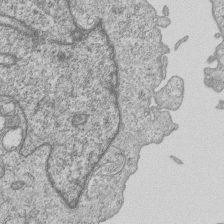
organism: Human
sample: MDA-MB-231 cells